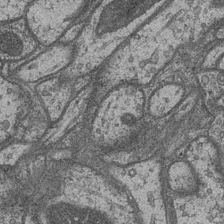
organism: Drosophila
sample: Optic medulla